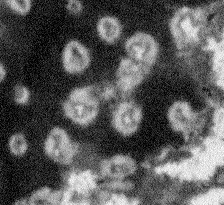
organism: Arabidopsis thaliana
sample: Root tip